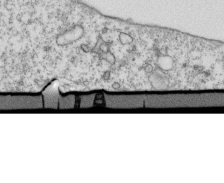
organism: Mouse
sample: Activated OT-1 CD8+ T cells